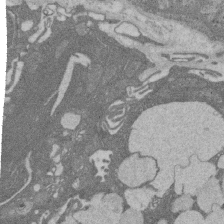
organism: Rat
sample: Salivary granule